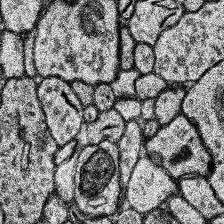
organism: Human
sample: Temporal Lobe